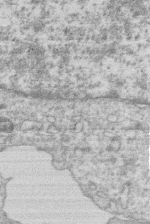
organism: Human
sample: Macrophage cells